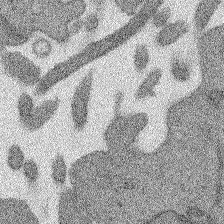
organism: Human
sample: HeLa cells